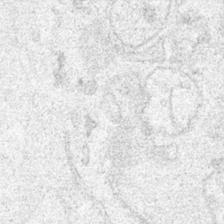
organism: Human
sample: Mitochondria in HCT116 cells